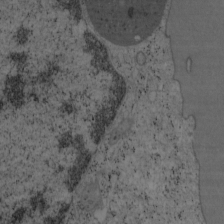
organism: Mouse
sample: OT-I killer T cells with ID8 ovarian cancer cells